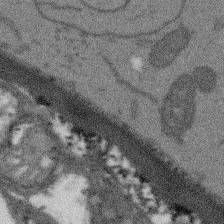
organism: Arabidopsis thaliana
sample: Root tip